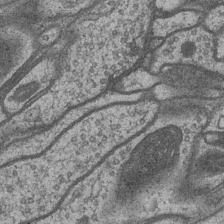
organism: Drosophila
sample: Optic medulla